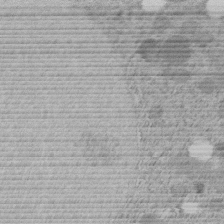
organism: C. elegans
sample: C. elegans embryo early stage